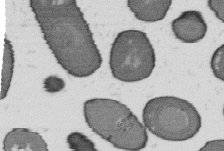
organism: B. subtilis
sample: Bacterial spore